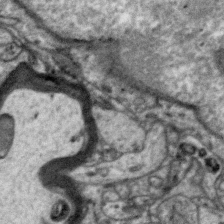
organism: Zebra finch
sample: Brain